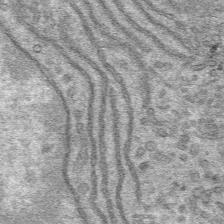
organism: Mouse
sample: Mouse hepatocytes